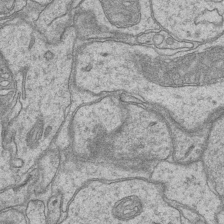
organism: Mouse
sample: CA1 Hippocampus